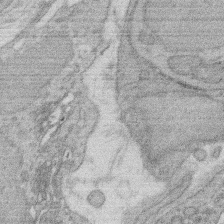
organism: Rat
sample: Salivary granule